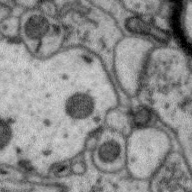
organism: Zebra finch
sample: Brain